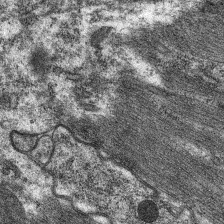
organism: C. elegans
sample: Pharynx